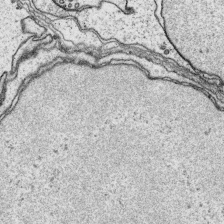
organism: Platynereis dumerilii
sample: Parapodia